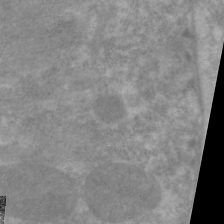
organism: C. elegans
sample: Pharynx